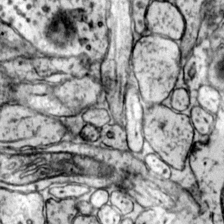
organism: Mouse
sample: Primary visual cortex